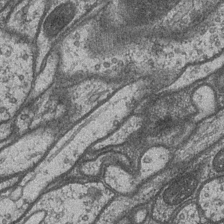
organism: Drosophila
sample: Optic medulla